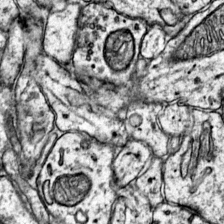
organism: Mouse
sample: Primary visual cortex